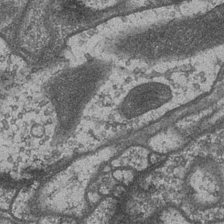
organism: Drosophila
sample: Optic medulla